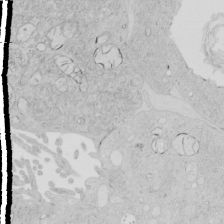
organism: Human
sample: Mitochondria in HCT116 cells